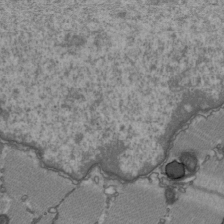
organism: C57BL Mouse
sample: Heart